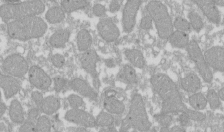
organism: Xenopus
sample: Cilia; centrioles in frog embryo cells